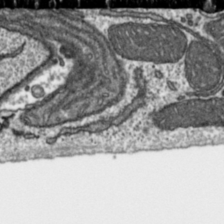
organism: Toxoplasma gondii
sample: Parasites in a vacuole inside a host cell